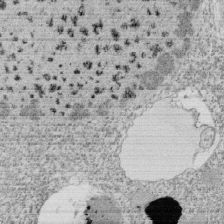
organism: Tetrahymena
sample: Cilia in tetrahymena